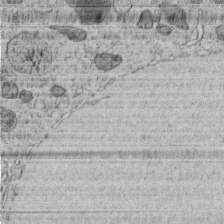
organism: C. elegans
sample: C. elegans embryo early stage